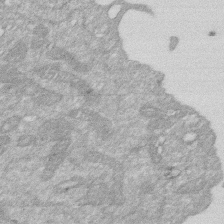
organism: Human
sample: HIV infected U937 cells